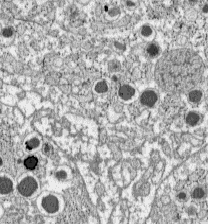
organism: C57BL Mouse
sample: Pancreatic islet